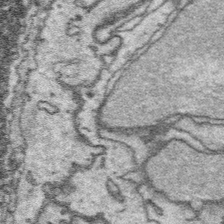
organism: Platynereis dumerilii